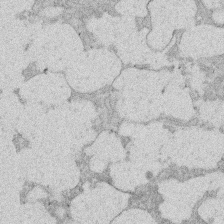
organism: Rat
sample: Salivary granule